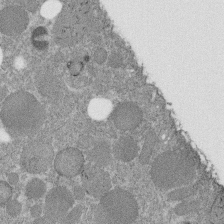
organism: C. elegans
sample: C. elegans embryo early stage